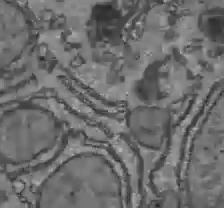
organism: C57BL Mouse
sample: Liver